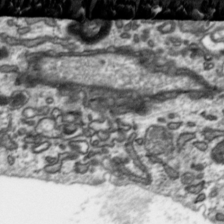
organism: Toxoplasma gondii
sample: Parasites in a vacuole inside a host cell